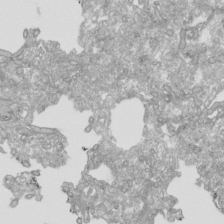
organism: Human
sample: Mitochondria in HCT116 cells